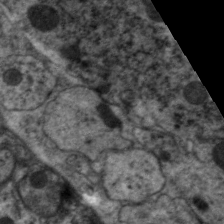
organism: C. elegans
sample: Pharynx